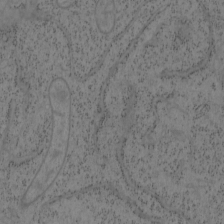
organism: Mouse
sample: OT-I killer T cells with ID8 ovarian cancer cells